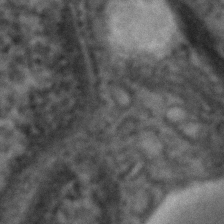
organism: Human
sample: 1205lu cells